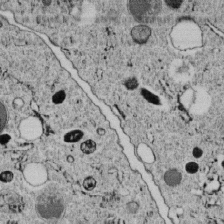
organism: C. elegans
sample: C. elegans embryo early stage